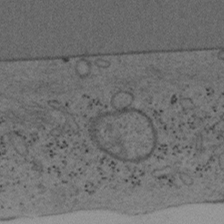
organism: Human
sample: HeLa cells